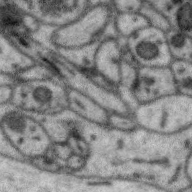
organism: Zebra finch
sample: Brain